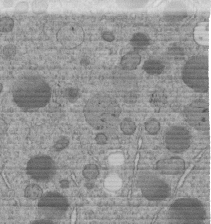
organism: C. elegans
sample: C. elegans embryo early stage